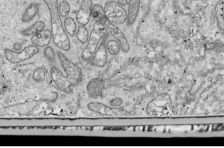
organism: Drosophila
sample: Cell division; meiosis; drosophila spermatocytes